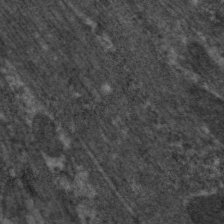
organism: C. elegans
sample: Pharynx